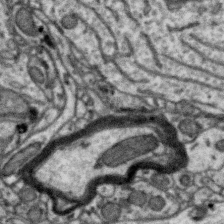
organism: Zebra finch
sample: Brain